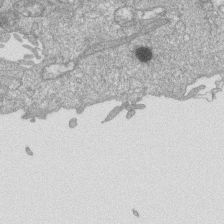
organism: Human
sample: HeLa cell HIV synapse